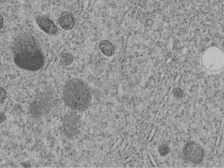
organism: C. elegans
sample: C. elegans embryo early stage